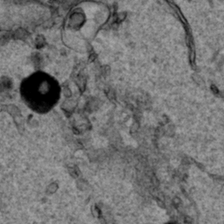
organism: Human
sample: Mitochondria in HCT116 cells